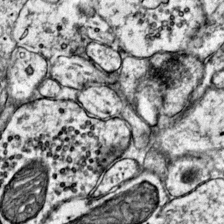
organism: Mouse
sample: Primary visual cortex